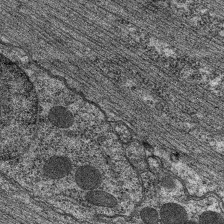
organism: C. elegans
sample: Pharynx